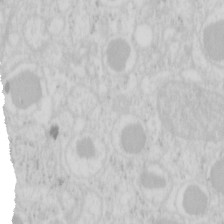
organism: Mouse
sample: Pancreas